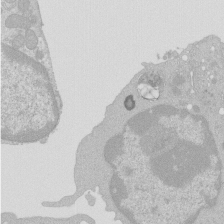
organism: Mouse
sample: Activated Pmel transgenic CD8+ T Cells